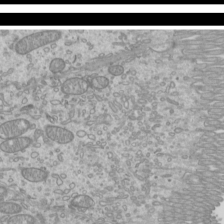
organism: Mouse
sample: Cilia; mouse epididymis